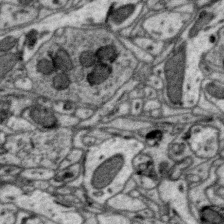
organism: Zebra finch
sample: Brain